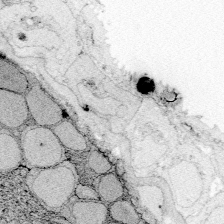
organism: Zebrafish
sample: Whole-Brain